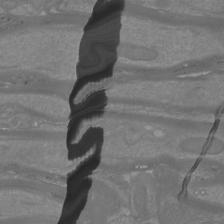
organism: Mouse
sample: Cortical neurons